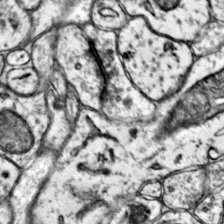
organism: Mouse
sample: Primary visual cortex